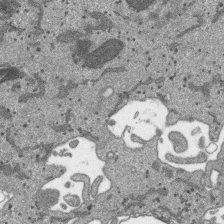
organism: Human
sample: Lung epithelial cells infected with SARS-CoV-2